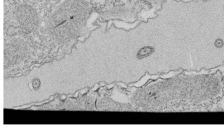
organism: Tetrahymena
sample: Cilia in tetrahymena